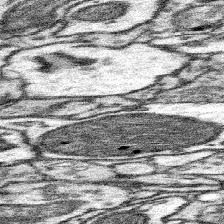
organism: Mouse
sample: Somatosensory cortex neuropil